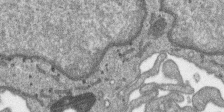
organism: Human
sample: Lung epithelial cells infected with SARS-CoV-2